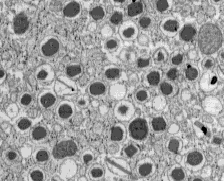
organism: C57BL Mouse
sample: Pancreatic islet